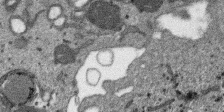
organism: Human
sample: Lung epithelial cells infected with SARS-CoV-2